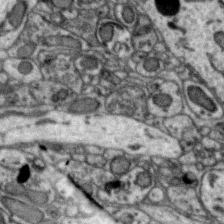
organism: Zebra finch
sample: Brain